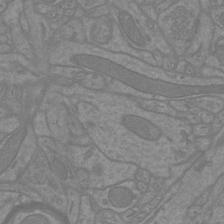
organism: Mouse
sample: Cortical neurons